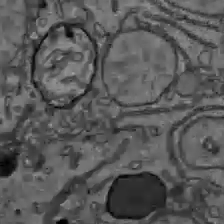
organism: C57BL Mouse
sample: Liver